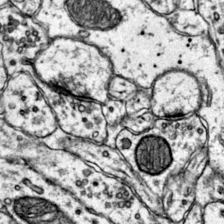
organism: Mouse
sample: Primary visual cortex